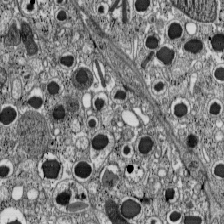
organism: C57BL Mouse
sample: Pancreatic islet